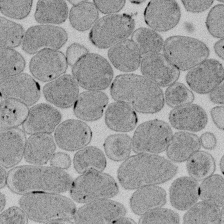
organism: E. coli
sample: Bacterial nucleoid